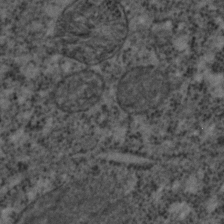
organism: C. elegans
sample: C. elegans embryo